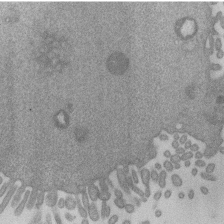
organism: Mouse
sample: Dividing mouse embryo 1 cell stage